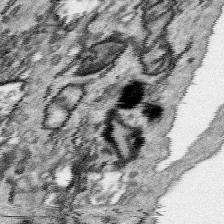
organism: Human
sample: HeLa cells